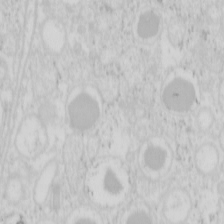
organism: Mouse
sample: Pancreas